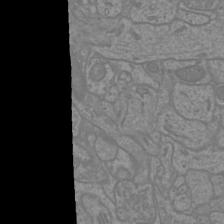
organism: Mouse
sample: Cortical neurons